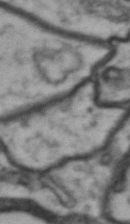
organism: Drosophila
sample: Brain